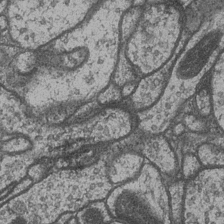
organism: Drosophila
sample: Optic medulla